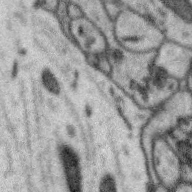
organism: Zebra finch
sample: Brain